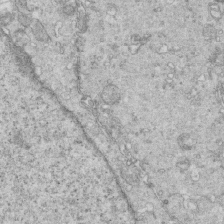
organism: Mouse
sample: Multiciliated cells